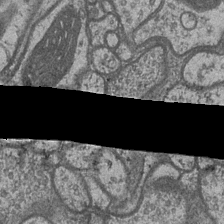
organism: Drosophila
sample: Optic medulla